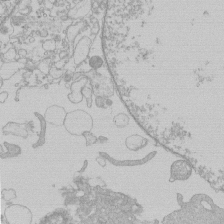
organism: Human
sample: Macrophage cells